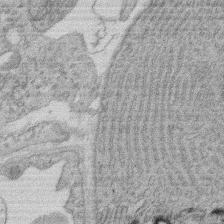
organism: Rat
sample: Salivary granule